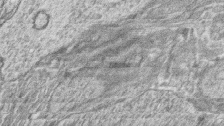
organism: Zebrafish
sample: synaptic ribbons in rod cells and cone cells